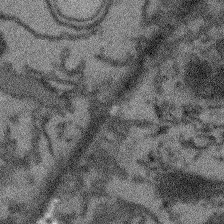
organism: Arabidopsis thaliana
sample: Root tip